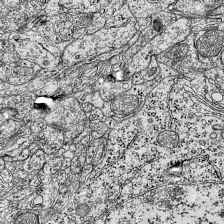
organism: Mouse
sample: Visual Cortex